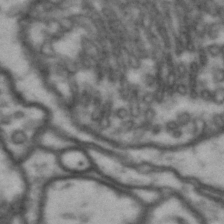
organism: Drosophila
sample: Brain